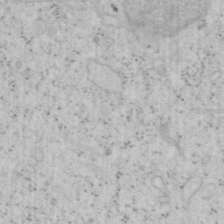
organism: Human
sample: HeLa cells